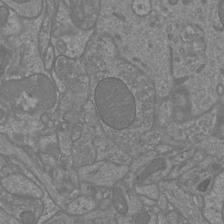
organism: Mouse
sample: Cortical neurons